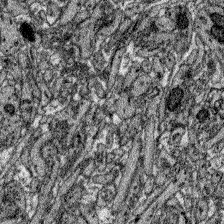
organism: Zebrafish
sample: Larval olfactory bulb